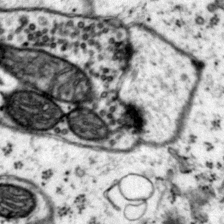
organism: Mouse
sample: Primary visual cortex